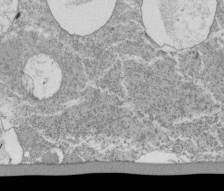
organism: Tetrahymena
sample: Cilia in tetrahymena